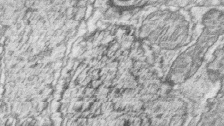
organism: Zebrafish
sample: synaptic ribbons in rod cells and cone cells